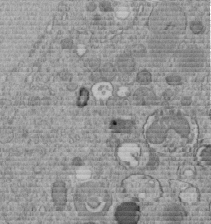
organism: C. elegans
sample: C. elegans embryo early stage